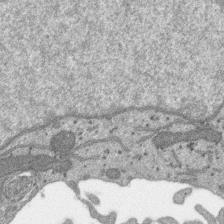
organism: Human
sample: Lung epithelial cells infected with SARS-CoV-2